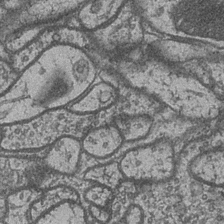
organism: Drosophila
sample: Optic medulla